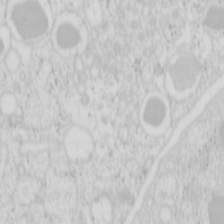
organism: Mouse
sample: Pancreas